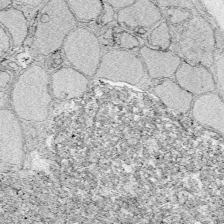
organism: Zebrafish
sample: Whole-Brain